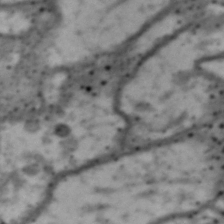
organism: Drosophila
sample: Brain